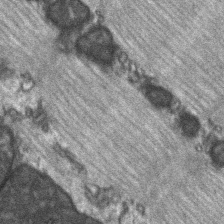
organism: C57BL Mouse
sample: Soleus